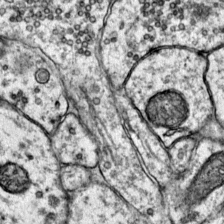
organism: Mouse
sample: Primary visual cortex